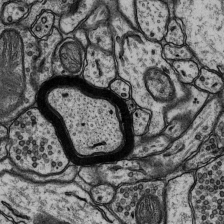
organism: Rat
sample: Hippocampus